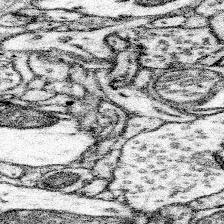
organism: Mouse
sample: Somatosensory cortex neuropil